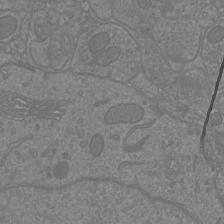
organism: Mouse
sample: Cortical neurons